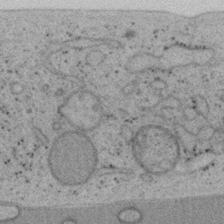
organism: Human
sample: HeLa cells